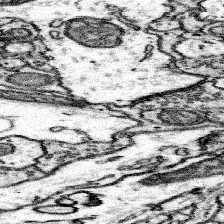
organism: Mouse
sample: Somatosensory cortex neuropil